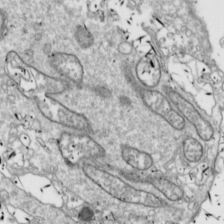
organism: Drosophila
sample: Cell division; meiosis; drosophila spermatocytes